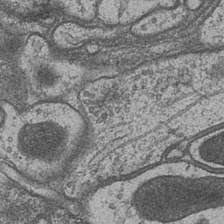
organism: Drosophila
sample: Optic medulla